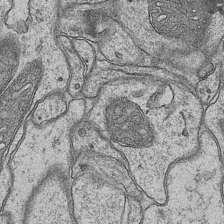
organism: Mouse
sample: CA1 Hippocampus